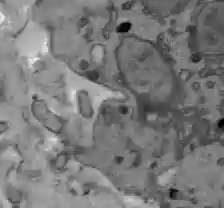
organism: C57BL Mouse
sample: Liver